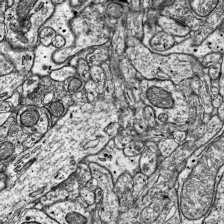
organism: Mouse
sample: Visual Cortex